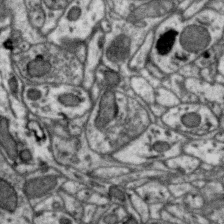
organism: Zebra finch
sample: Brain